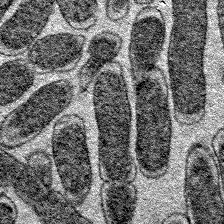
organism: E. coli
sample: E. Coli Bacteria